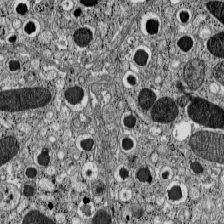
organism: C57BL Mouse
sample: Pancreatic islet